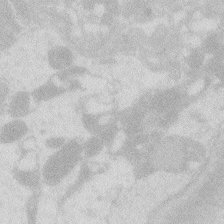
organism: Zebrafish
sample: Macrophage